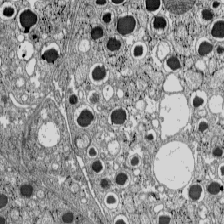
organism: C57BL Mouse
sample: Pancreatic islet